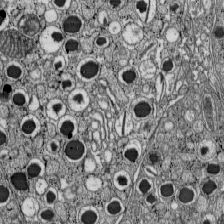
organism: C57BL Mouse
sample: Pancreatic islet